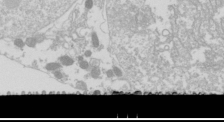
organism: Drosophila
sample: Cell division; meiosis; drosophila spermatocytes